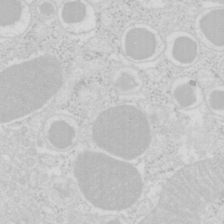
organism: Mouse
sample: Pancreas